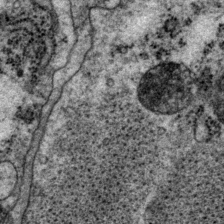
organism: P. pacificus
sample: Pharynx